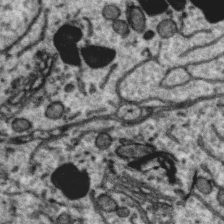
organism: Zebra finch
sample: Brain